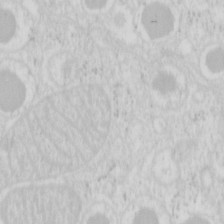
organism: Mouse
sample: Pancreas